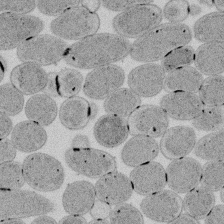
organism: E. coli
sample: Bacterial nucleoid